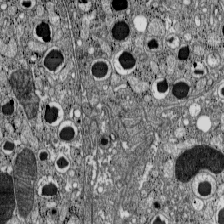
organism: C57BL Mouse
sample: Pancreatic islet